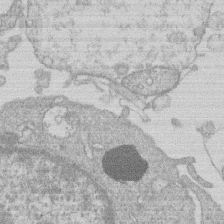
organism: Human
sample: Macrophage cells